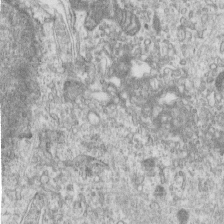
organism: Human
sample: Centriole in RPE cells